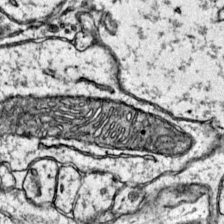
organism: Mouse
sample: Primary visual cortex